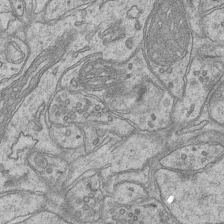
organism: Mouse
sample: CA1 Hippocampus